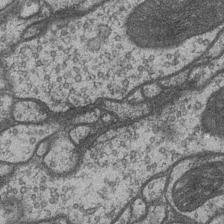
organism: Drosophila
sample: Optic medulla